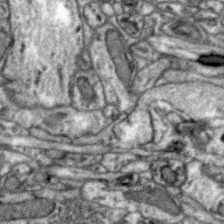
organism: Zebra finch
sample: Brain